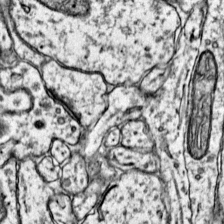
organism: Mouse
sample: Primary visual cortex